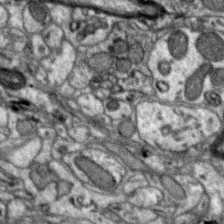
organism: Zebra finch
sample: Brain